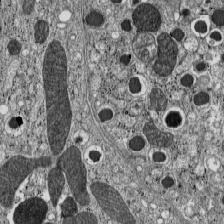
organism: C57BL Mouse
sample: Pancreatic islet